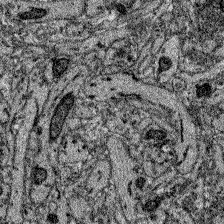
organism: Zebrafish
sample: Larval olfactory bulb